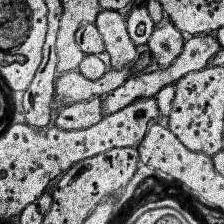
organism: Human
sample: Temporal Lobe